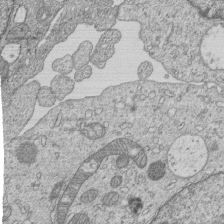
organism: Human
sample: MDA-MB-231 cells